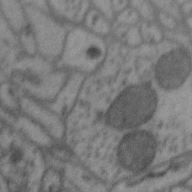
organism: Zebra finch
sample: Brain